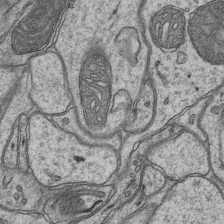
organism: Mouse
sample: CA1 Hippocampus